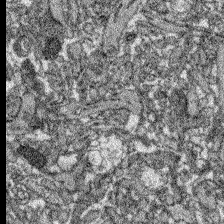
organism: Zebrafish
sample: Larval olfactory bulb